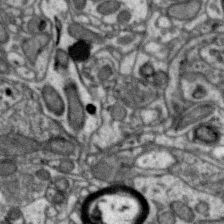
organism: Zebra finch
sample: Brain